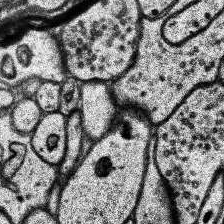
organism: Human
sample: Temporal Lobe